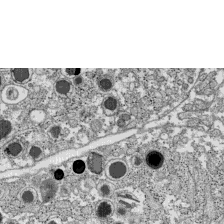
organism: C57BL Mouse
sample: Pancreatic islet